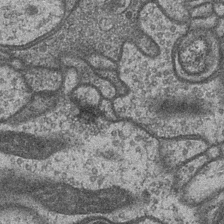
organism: Drosophila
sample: Optic medulla